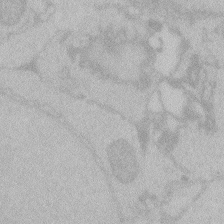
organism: Zebrafish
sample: Macrophage infected with Toxoplasma gondii